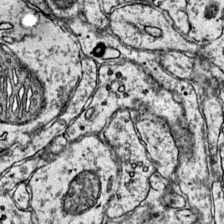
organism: Mouse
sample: Primary visual cortex